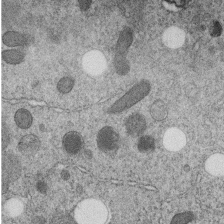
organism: C. elegans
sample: C. elegans embryo early stage